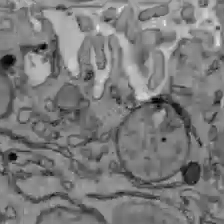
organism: C57BL Mouse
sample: Liver